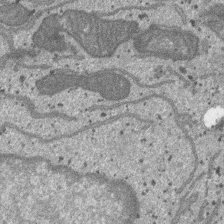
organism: Human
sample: Lung epithelial cells infected with SARS-CoV-2